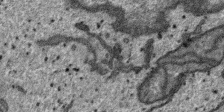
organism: Human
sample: Lung epithelial cells, uninfected (mock) control